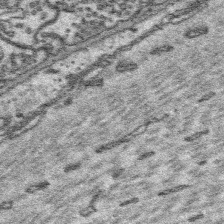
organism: Platynereis dumerilii